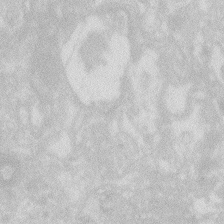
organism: Zebrafish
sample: Macrophage